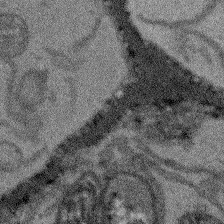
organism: Arabidopsis thaliana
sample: Root tip